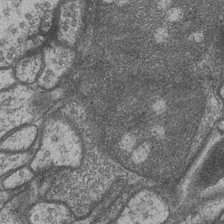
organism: Drosophila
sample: Optic medulla